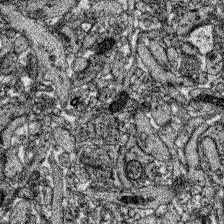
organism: Zebrafish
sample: Larval olfactory bulb